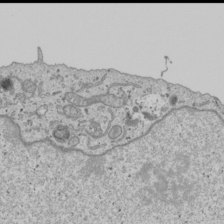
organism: Human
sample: Mitochondria in U2OS cells